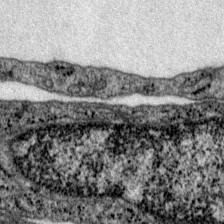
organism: Mouse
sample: Primary visual cortex